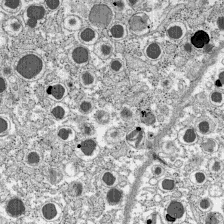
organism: C57BL Mouse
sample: Pancreatic islet